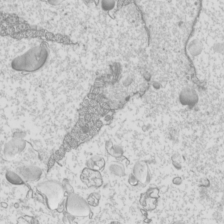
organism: Mouse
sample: Cilia; mouse epididymis